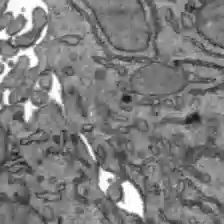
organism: C57BL Mouse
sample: Liver